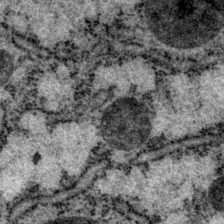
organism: P. pacificus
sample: Pharynx